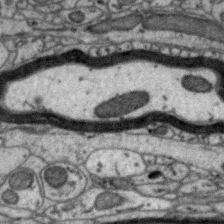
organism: Zebra finch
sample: Brain